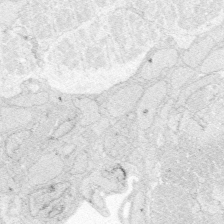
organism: Zebrafish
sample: Whole-Brain